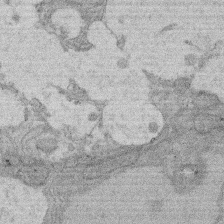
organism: Rat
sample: Salivary granule